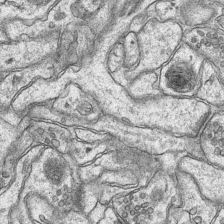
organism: Mouse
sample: CA1 Hippocampus